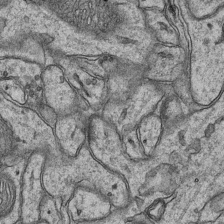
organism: Mouse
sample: CA1 Hippocampus